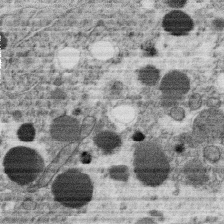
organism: C. elegans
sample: C. elegans oocyte; sperm cells